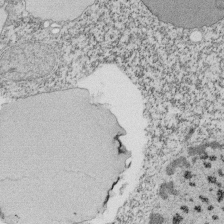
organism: Tetrahymena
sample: Cilia in tetrahymena